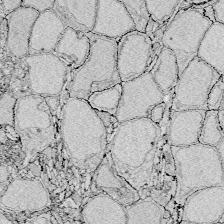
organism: Zebrafish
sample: Whole-Brain